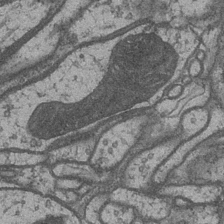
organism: Drosophila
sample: Optic medulla